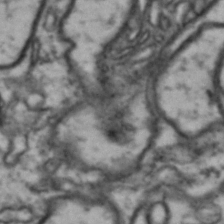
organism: Drosophila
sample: Brain